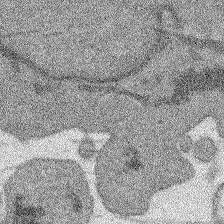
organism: Human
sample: HeLa cells